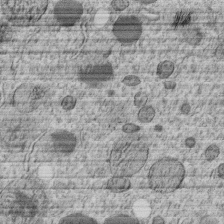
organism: C. elegans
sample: C. elegans embryo early stage